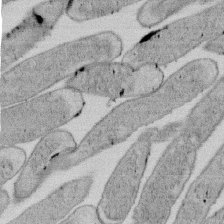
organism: E. coli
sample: Bacterial nucleoid